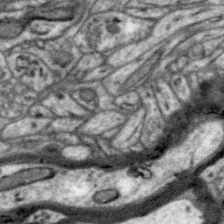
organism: Zebra finch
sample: Brain